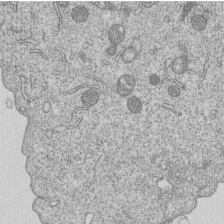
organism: Human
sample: MDA-MB-231 cells